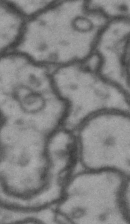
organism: Drosophila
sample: Brain